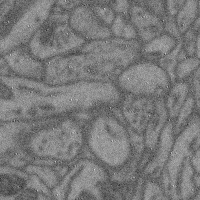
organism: Mouse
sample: Cerebral cortex